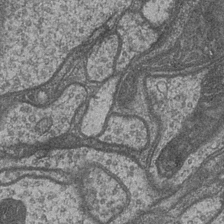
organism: Drosophila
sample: Optic medulla